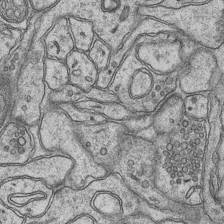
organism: Mouse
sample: CA1 Hippocampus